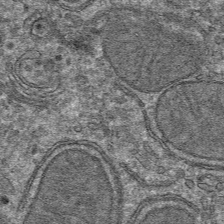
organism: Mouse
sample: Mouse hepatocytes